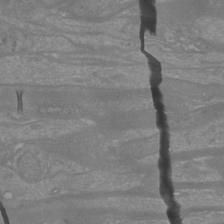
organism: Mouse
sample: Cortical neurons